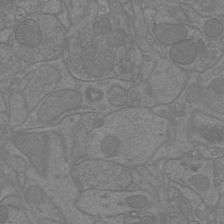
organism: Mouse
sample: Cortical neurons